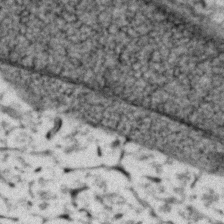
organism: Zebrafish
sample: Zebrafish embryo